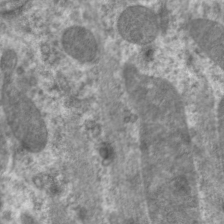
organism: C. elegans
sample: Pharynx